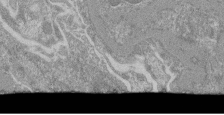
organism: Mouse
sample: Glomerulus